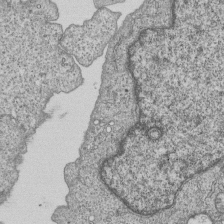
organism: Human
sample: MDA-MB-231 cells